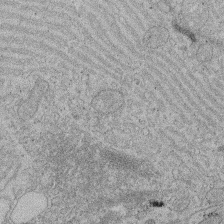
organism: Rat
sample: Salivary granule